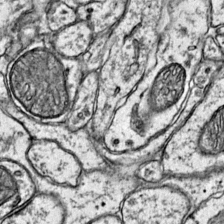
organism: Mouse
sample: Primary visual cortex